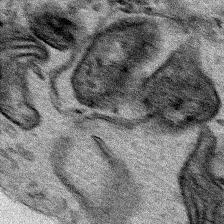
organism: Human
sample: Mitochondria in HCT116 cells